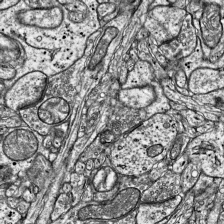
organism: Mouse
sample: Visual Cortex